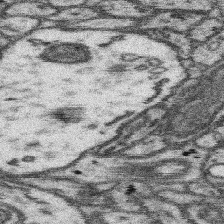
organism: Mouse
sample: Somatosensory cortex neuropil